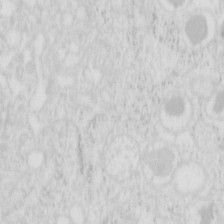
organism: Mouse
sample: Pancreas